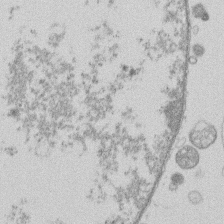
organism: Human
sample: Macrophage cells